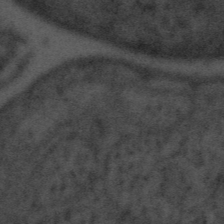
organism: Tuwongella immobilis